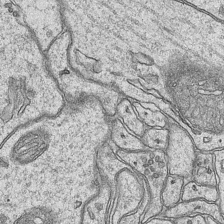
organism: Mouse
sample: CA1 Hippocampus